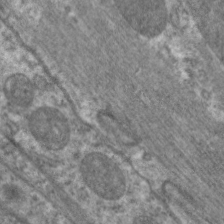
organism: C. elegans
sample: Pharynx